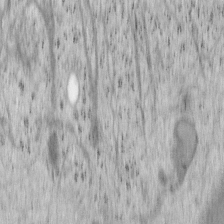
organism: Human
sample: HeLa cells